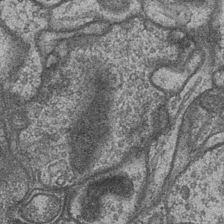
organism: Drosophila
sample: Optic medulla